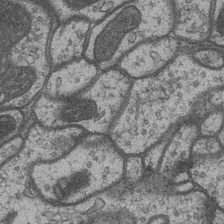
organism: Drosophila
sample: Optic medulla